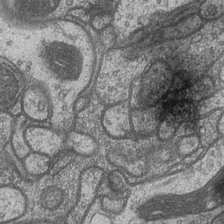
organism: Drosophila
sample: Optic medulla